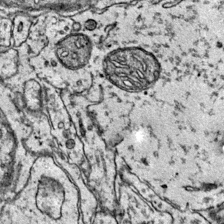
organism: Mouse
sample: Primary visual cortex